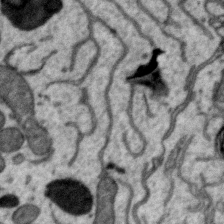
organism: Zebra finch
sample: Brain